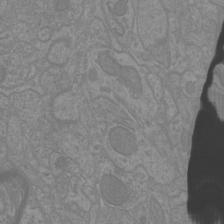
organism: Mouse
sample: Cortical neurons